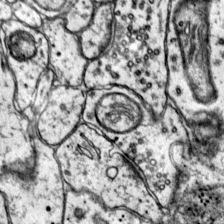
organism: Mouse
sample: Primary visual cortex